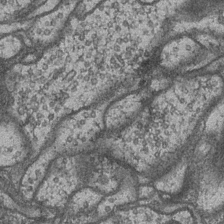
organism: Drosophila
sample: Optic medulla